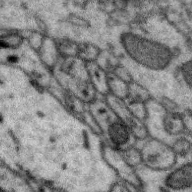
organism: Zebra finch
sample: Brain